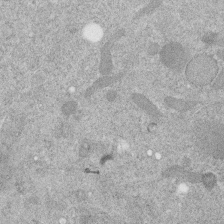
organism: C. elegans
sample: C. elegans embryo early stage